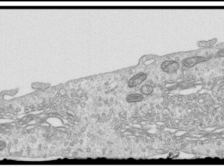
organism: Human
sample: Centriole in RPE cells